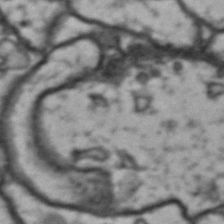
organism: Drosophila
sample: Brain